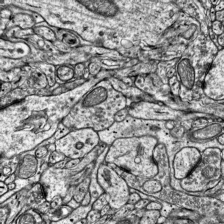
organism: Mouse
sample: Visual Cortex